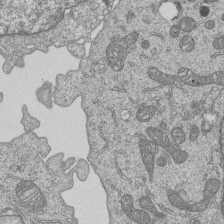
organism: Human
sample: MDA-MB-231 cells